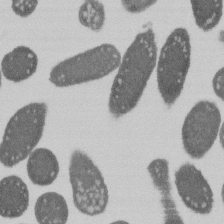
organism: E. coli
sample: Bacterial nucleoid